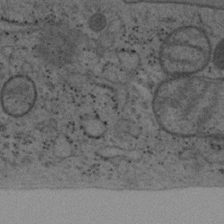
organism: Human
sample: HeLa cells